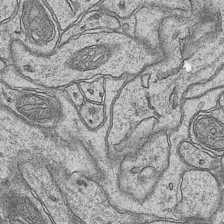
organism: Mouse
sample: CA1 Hippocampus